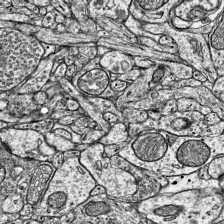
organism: Mouse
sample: Visual Cortex